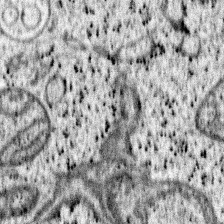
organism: Human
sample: HeLa cells